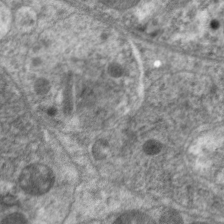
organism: C. elegans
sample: Pharynx